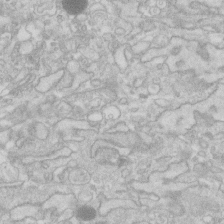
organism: Human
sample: Fibroblast cells